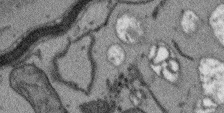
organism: Arabidopsis thaliana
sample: Root tip